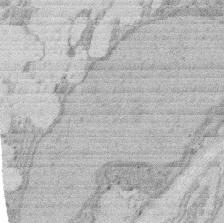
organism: Rat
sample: Salivary granule